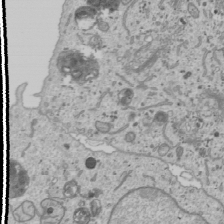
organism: Human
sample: Mitochondria in U2OS cells